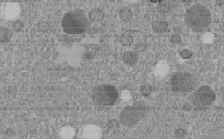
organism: C. elegans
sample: C. elegans embryo early stage